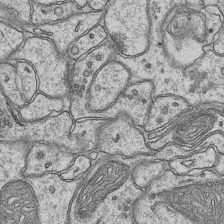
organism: Mouse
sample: CA1 Hippocampus